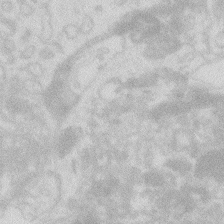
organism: Zebrafish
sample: Macrophage